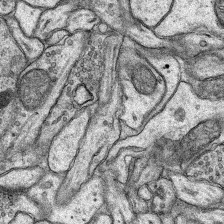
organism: Rat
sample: Hippocampus